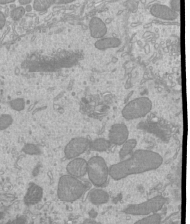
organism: Mouse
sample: Cilia; mouse epididymis